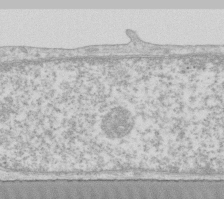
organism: Human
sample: Fibroblast cells